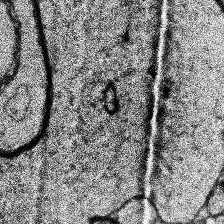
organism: Human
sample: Temporal Lobe